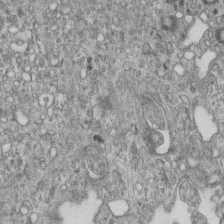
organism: Mouse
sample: Centriole in ependymal cells